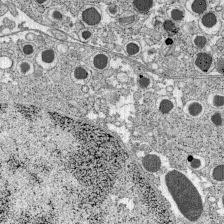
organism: C57BL Mouse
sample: Pancreatic islet